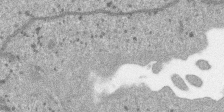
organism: Human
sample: Lung epithelial cells infected with SARS-CoV-2